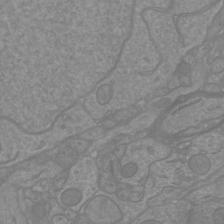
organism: Mouse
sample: Cortical neurons